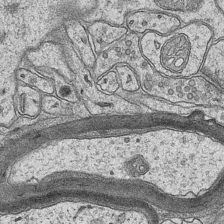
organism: Mouse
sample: CA1 Hippocampus